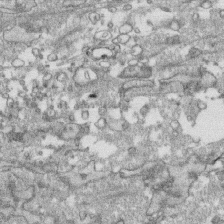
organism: Human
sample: CRL-1474